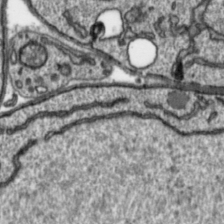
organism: Toxoplasma gondii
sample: Parasites in a vacuole inside a host cell